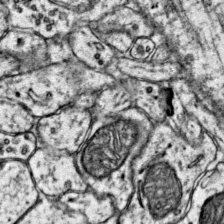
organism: Mouse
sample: Primary visual cortex